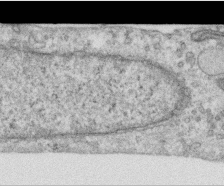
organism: Human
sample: Centriole in RPE cells